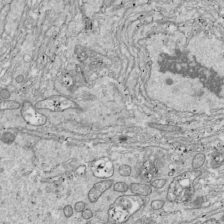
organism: Drosophila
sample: Cell division; meiosis; drosophila spermatocytes